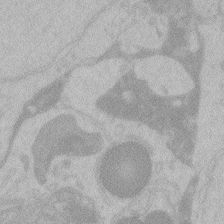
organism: Zebrafish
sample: Macrophage infected with Toxoplasma gondii